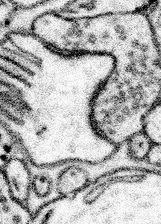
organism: Mouse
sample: Somatosensory cortex neuropil